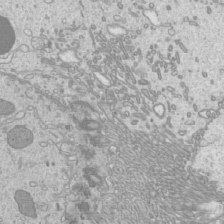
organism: Mouse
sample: Cilia; mouse epididymis